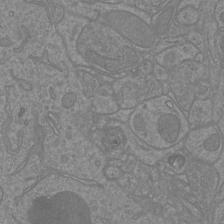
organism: Mouse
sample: Cortical neurons